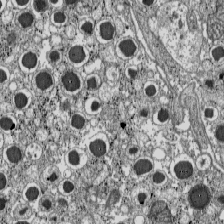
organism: C57BL Mouse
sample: Pancreatic islet